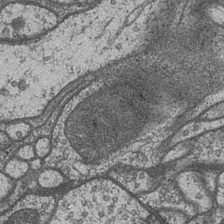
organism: Drosophila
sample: Optic medulla